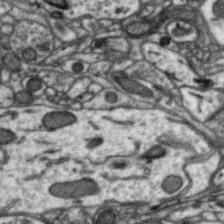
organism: Zebra finch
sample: Brain